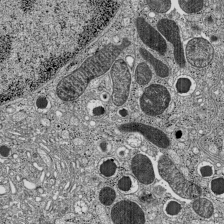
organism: C57BL Mouse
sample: Pancreatic islet